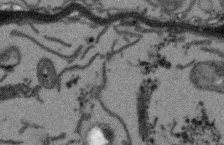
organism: Arabidopsis thaliana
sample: Root tip